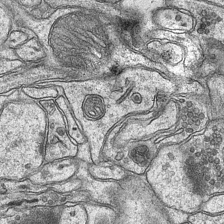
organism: Mouse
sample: CA1 Hippocampus